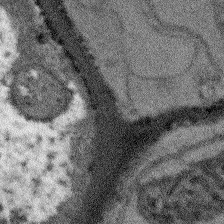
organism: Arabidopsis thaliana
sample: Root tip